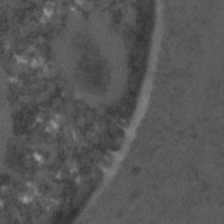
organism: C. elegans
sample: C. elegans embryo